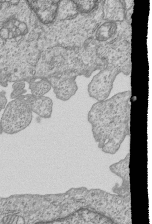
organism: Human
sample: MDA-MB-231 cells